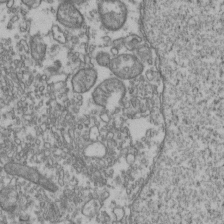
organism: Human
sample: Activated Jurkat CD4+ T cells